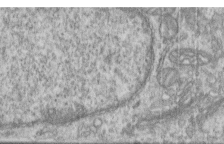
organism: Human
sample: Centriole in RPE cells